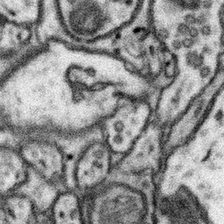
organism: Mouse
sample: Somatosensory cortex neuropil